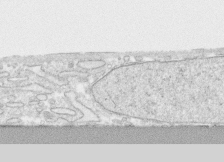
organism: Human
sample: CRL-1474